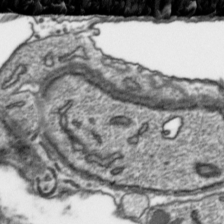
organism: Toxoplasma gondii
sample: Parasites in a vacuole inside a host cell